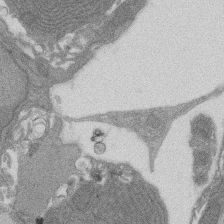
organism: Rat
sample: Salivary granule